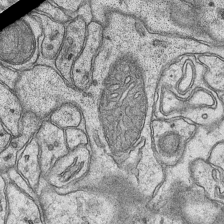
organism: Mouse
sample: CA1 Hippocampus